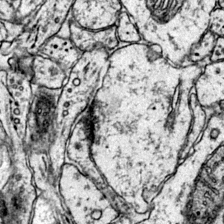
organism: Mouse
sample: Primary visual cortex